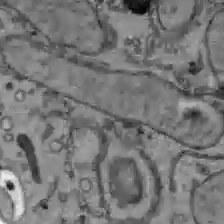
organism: C57BL Mouse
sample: Liver